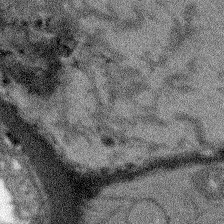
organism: Arabidopsis thaliana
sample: Root tip